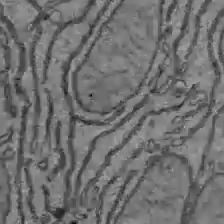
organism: C57BL Mouse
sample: Liver